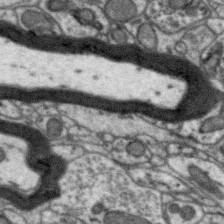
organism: Zebra finch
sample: Brain